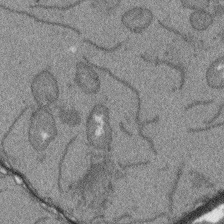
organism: Arabidopsis thaliana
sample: Root tip